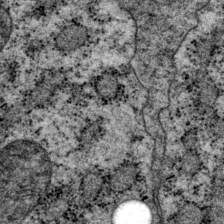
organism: P. pacificus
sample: Pharynx